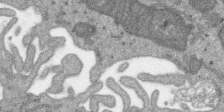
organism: Human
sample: Lung epithelial cells infected with SARS-CoV-2